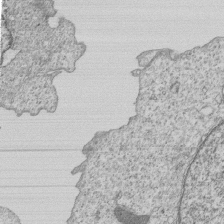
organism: Human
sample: MDA-MB-231 cells